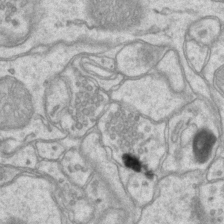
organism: Mouse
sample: CA1 Hippocampus